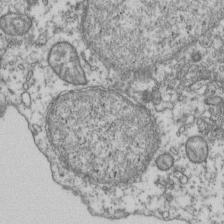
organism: Human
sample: Activated Jurkat CD4+ T cells